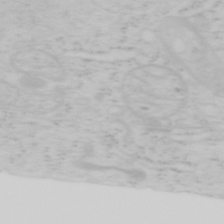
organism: Mouse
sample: OT-I killer T cells with ID8 ovarian cancer cells